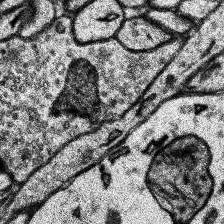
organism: Human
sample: Temporal Lobe